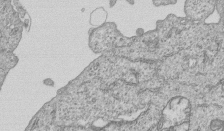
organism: Human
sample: MDA-MB-231 cells